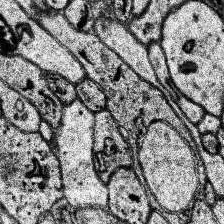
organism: Human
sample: Temporal Lobe